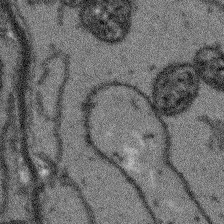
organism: Arabidopsis thaliana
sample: Root tip